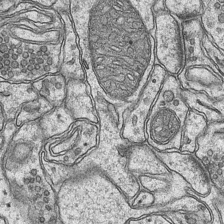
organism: Mouse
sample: CA1 Hippocampus